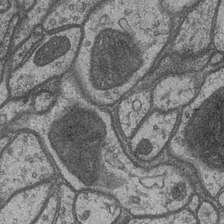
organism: Drosophila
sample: Optic medulla